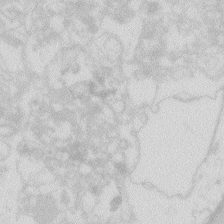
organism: Zebrafish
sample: Macrophage